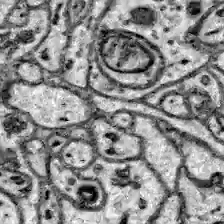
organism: Zebrafish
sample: Brain